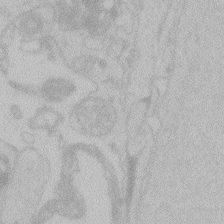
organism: Zebrafish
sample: Macrophage infected with Toxoplasma gondii